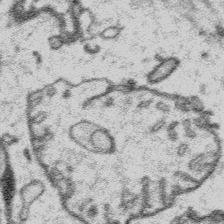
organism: Platynereis dumerilii